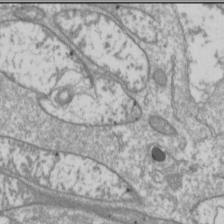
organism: Drosophila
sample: Cell division; meiosis; drosophila spermatocytes